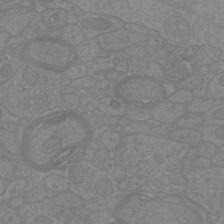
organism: Mouse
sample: Cortical neurons